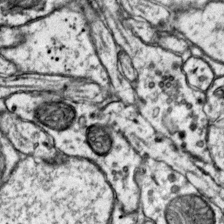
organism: Mouse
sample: Primary visual cortex